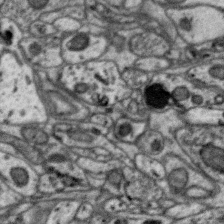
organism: Zebra finch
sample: Brain